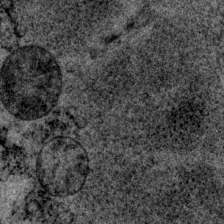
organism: P. pacificus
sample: Pharynx